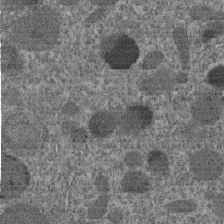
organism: C. elegans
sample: C. elegans embryo early stage